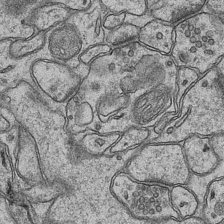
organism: Mouse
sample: CA1 Hippocampus